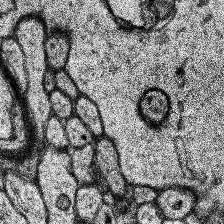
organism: Human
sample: Temporal Lobe